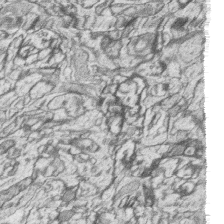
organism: Zebrafish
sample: synaptic ribbons in rod cells and cone cells